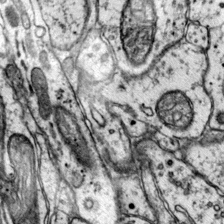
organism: Mouse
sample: Primary visual cortex